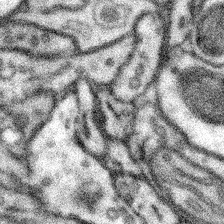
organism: Mouse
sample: Somatosensory cortex neuropil